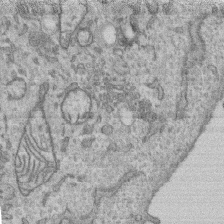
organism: Human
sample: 1205lu cells